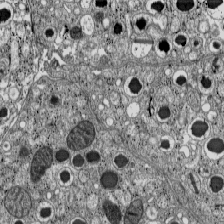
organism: C57BL Mouse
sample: Pancreatic islet